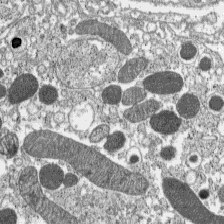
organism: C57BL Mouse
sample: Pancreatic islet